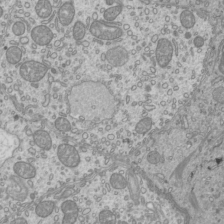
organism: Mouse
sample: Cilia; mouse epididymis